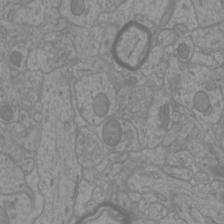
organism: Mouse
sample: Cortical neurons